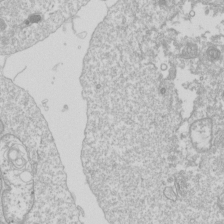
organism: Drosophila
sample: Cell division; meiosis; drosophila spermatocytes